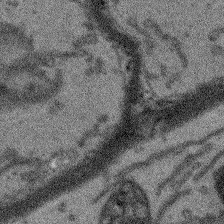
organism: Arabidopsis thaliana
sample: Root tip